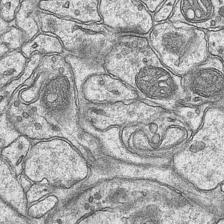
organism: Mouse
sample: CA1 Hippocampus